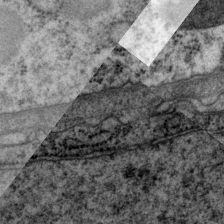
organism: P. pacificus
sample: Pharynx